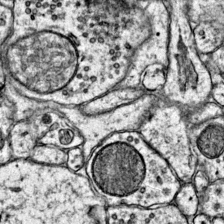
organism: Mouse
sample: Primary visual cortex